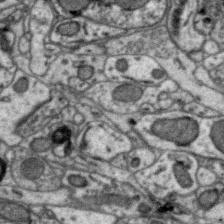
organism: Zebra finch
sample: Brain